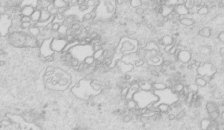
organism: Mouse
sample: Multiciliated cells